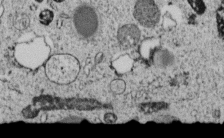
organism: C. elegans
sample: C. elegans embryo early stage